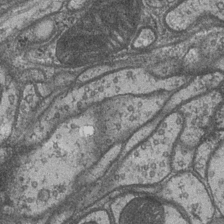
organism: Drosophila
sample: Optic medulla